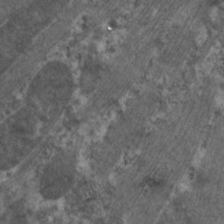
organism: C. elegans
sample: Pharynx